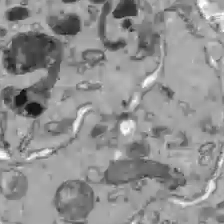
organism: C57BL Mouse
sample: Liver